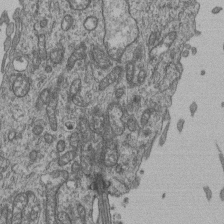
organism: Human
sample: Retinal organoid Rod and Cone cells